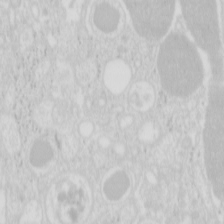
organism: Mouse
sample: Pancreas